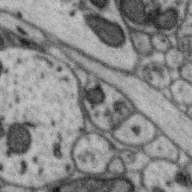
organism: Zebra finch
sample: Brain